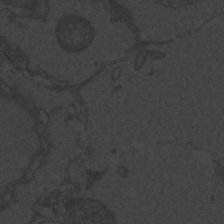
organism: Zebrafish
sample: Macrophage infected with Toxoplasma gondii